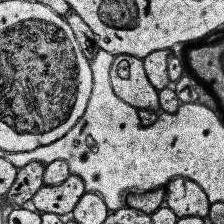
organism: Human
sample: Temporal Lobe